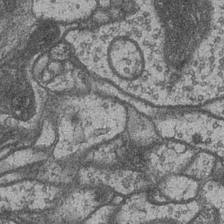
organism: Drosophila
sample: Optic medulla